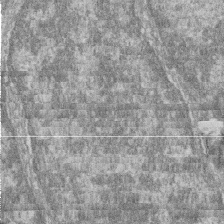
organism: Zebrafish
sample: Cilia; retinal pigment epithelium